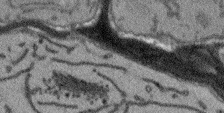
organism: Arabidopsis thaliana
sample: Root tip